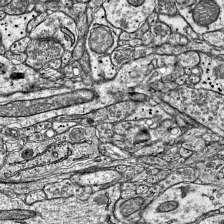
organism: Mouse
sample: Visual Cortex